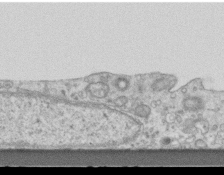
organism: Mouse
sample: Centriole in ependymal cells